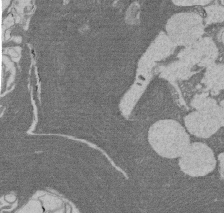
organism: Rat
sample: Salivary granule